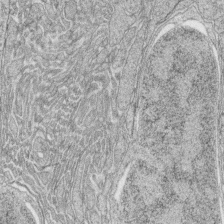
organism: Zebrafish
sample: synaptic ribbons in rod cells and cone cells